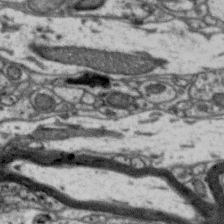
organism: Zebra finch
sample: Brain